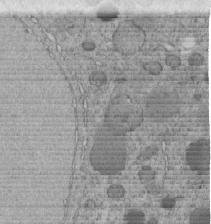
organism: C. elegans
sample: C. elegans embryo early stage